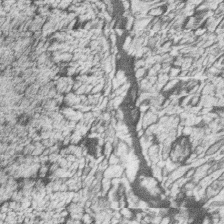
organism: Zebrafish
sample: synaptic ribbons in rod cells and cone cells